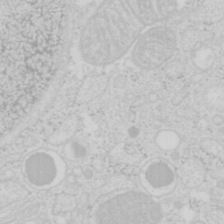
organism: Mouse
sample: Pancreas